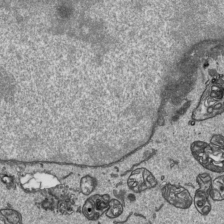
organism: Human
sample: Mitochondria in HCT116 cells